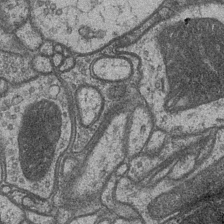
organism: Drosophila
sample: Optic medulla